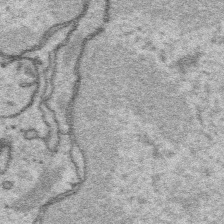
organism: Platynereis dumerilii